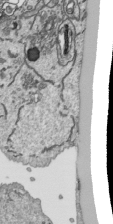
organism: Human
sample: Mitochondria in HCT116 cells